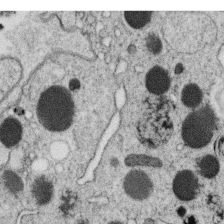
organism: C. elegans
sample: C. elegans oocyte; sperm cells